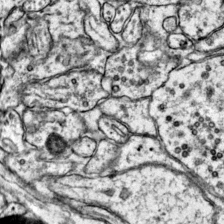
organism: Mouse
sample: Primary visual cortex